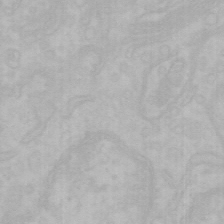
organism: Mouse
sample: Choroid plexus